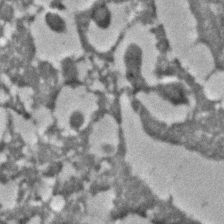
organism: C. elegans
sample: C. elegans embryo